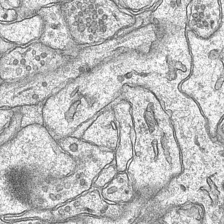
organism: Mouse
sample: CA1 Hippocampus